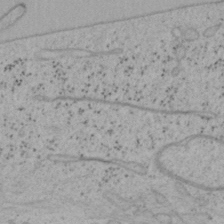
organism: Human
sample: HeLa cells